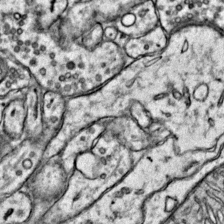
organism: Mouse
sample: Primary visual cortex